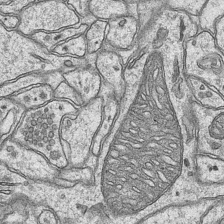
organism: Mouse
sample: CA1 Hippocampus